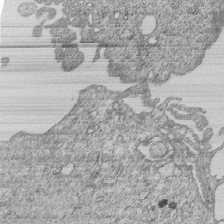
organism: Human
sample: MDA-MB-231 cells